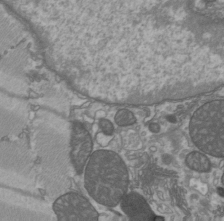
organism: C57BL Mouse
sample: Heart